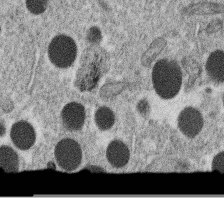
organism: C. elegans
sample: C. elegans oocyte; sperm cells